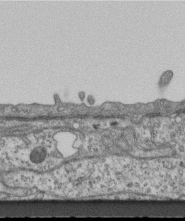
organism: Mouse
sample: Centriole in ependymal cells